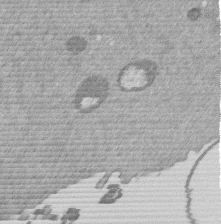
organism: Mouse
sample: Dividing mouse embryo 1 cell stage